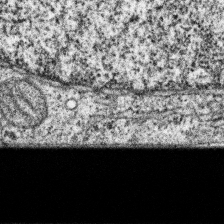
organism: Human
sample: HeLa cells